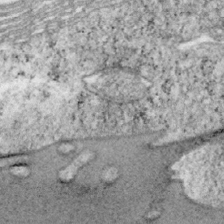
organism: Mouse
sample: OT-I killer T cells with ID8 ovarian cancer cells